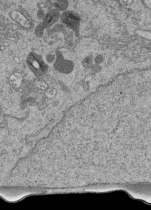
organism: Human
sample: Retinal organoid Rod and Cone cells